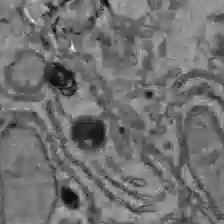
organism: C57BL Mouse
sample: Liver